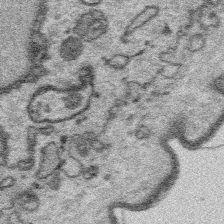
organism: Platynereis dumerilii